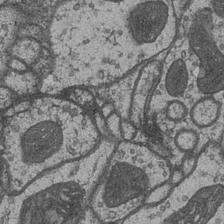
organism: Drosophila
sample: Optic medulla